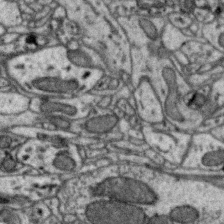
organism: Zebra finch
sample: Brain